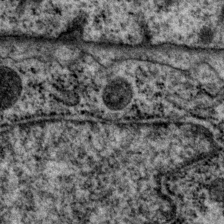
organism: P. pacificus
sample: Pharynx